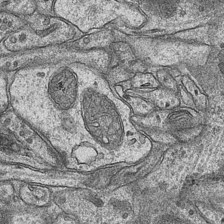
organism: Mouse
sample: CA1 Hippocampus